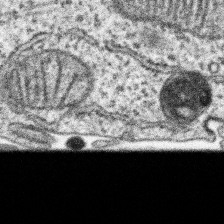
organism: Human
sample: HeLa cells